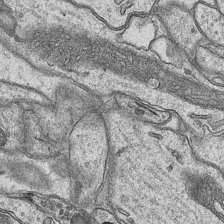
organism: Mouse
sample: CA1 Hippocampus